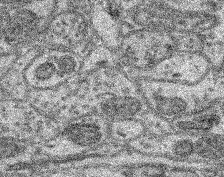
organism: Mouse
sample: Retina